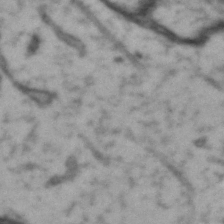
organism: Drosophila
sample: Brain